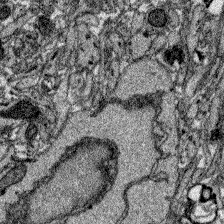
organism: Zebrafish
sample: Larval olfactory bulb